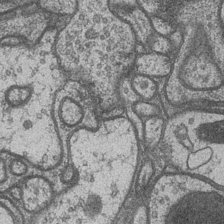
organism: Drosophila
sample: Optic medulla